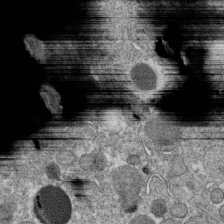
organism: C. elegans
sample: C. elegans oocyte; sperm cells